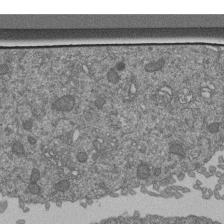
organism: Human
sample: Retinal organoid Rod and Cone cells